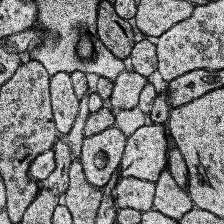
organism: Human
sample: Temporal Lobe